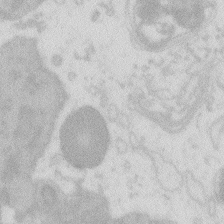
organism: Zebrafish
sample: Macrophage